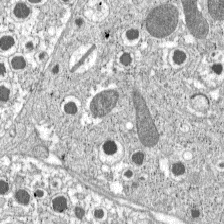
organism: C57BL Mouse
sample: Pancreatic islet